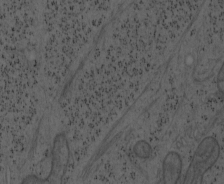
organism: Mouse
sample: OT-I killer T cells with ID8 ovarian cancer cells